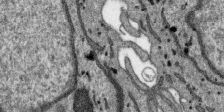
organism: Human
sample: Lung epithelial cells, uninfected (mock) control